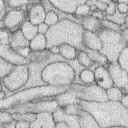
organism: Rabbit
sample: Retina